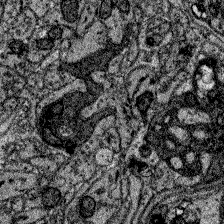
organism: Zebrafish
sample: Larval olfactory bulb